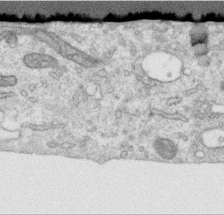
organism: Human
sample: Centriole in RPE cells